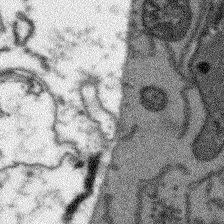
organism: Arabidopsis thaliana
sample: Root tip